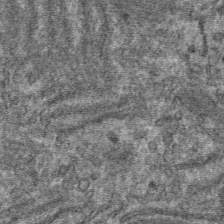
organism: Mouse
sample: Mouse hepatocytes